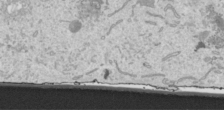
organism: Human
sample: Mitochondria in HCT116 cells